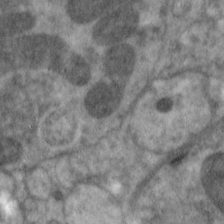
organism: C. elegans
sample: Pharynx